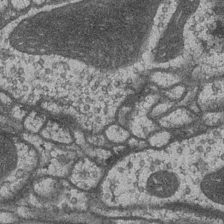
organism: Drosophila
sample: Optic medulla